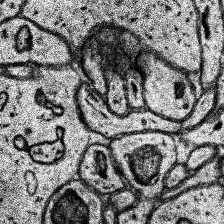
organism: Human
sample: Temporal Lobe